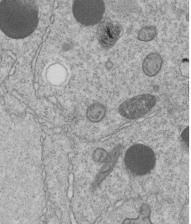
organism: C. elegans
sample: C. elegans embryo early stage